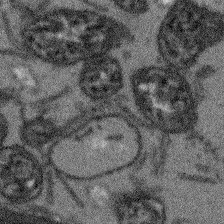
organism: Arabidopsis thaliana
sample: Root tip